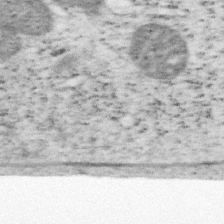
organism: Mouse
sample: OT-I killer T cells with ID8 ovarian cancer cells